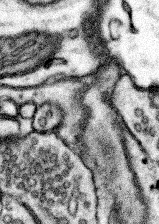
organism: Mouse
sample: Somatosensory cortex neuropil